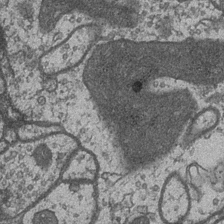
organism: Drosophila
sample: Optic medulla